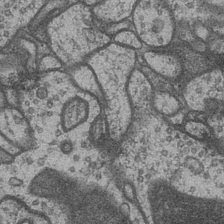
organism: Drosophila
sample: Optic medulla